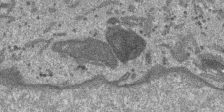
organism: Human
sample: Lung epithelial cells infected with SARS-CoV-2